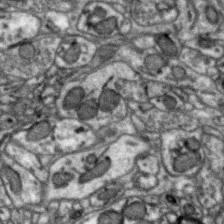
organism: Zebra finch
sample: Brain